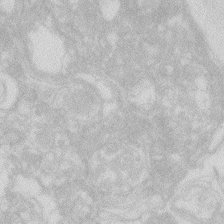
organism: Zebrafish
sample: Macrophage